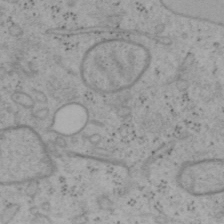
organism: Human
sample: HeLa cells